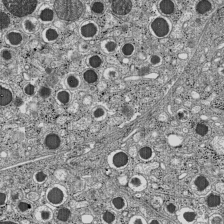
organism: C57BL Mouse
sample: Pancreatic islet